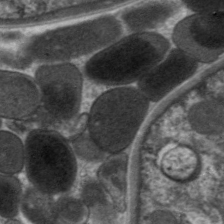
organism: C. elegans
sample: Pharynx